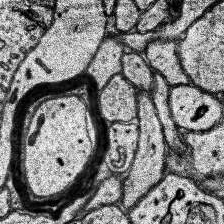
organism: Human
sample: Temporal Lobe